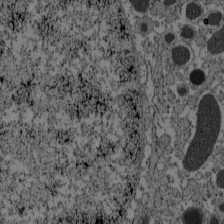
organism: C57BL Mouse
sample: Pancreatic islet